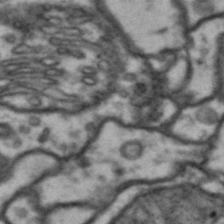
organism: Drosophila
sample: Brain